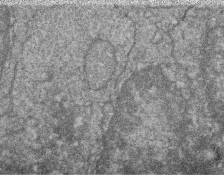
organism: Zebrafish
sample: Cilia; retinal pigment epithelium